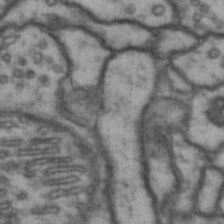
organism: Drosophila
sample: Brain